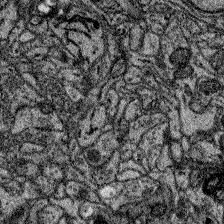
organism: Zebrafish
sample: Larval olfactory bulb